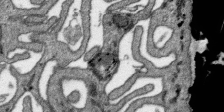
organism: Human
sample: Lung epithelial cells, uninfected (mock) control